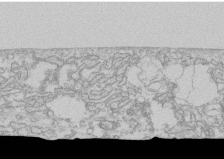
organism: Human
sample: CRL-1474